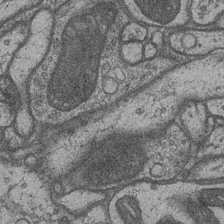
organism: Drosophila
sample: Optic medulla